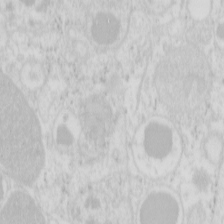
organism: Mouse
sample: Pancreas